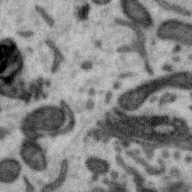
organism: Zebra finch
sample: Brain